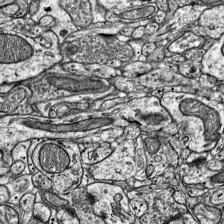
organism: Mouse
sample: Visual Cortex